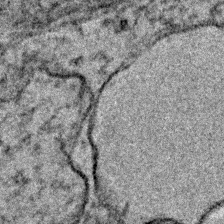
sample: Trachea